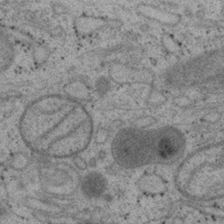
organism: Human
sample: HeLa cells